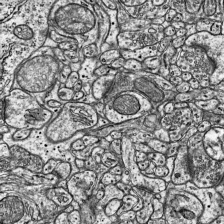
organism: Mouse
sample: Visual Cortex